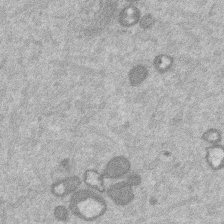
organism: Mouse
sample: Dividing mouse embryo 1 cell stage